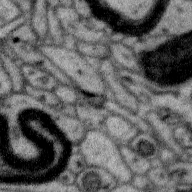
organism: Zebra finch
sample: Brain